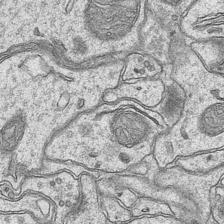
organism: Mouse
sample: CA1 Hippocampus